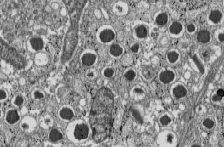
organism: C57BL Mouse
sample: Pancreatic islet